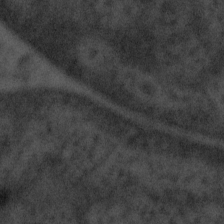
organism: Tuwongella immobilis